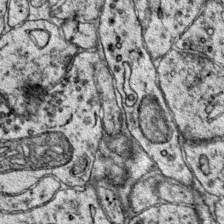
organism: Mouse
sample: Primary visual cortex